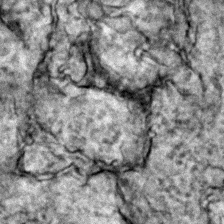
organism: Zebrafish